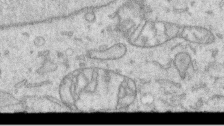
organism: Human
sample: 1205lu cells